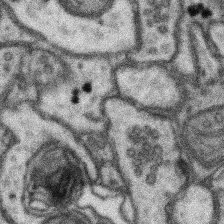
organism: Mouse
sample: Somatosensory cortex neuropil